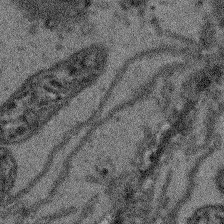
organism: Arabidopsis thaliana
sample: Root tip